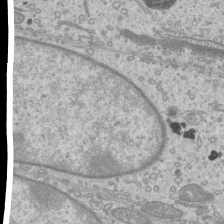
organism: Mouse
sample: Cilia; mouse epididymis